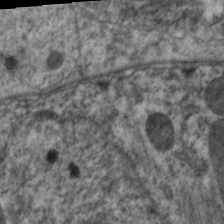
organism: C. elegans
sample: Pharynx